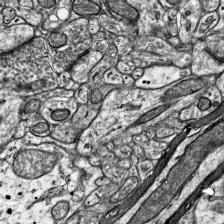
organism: Mouse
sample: Visual Cortex